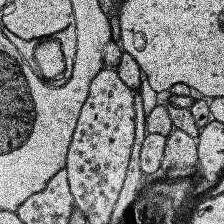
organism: Human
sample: Temporal Lobe